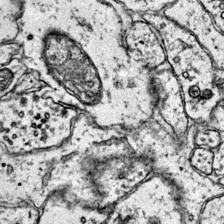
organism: Mouse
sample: Primary visual cortex